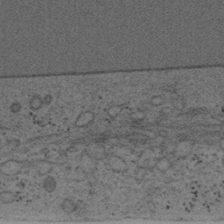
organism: Human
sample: HeLa cells